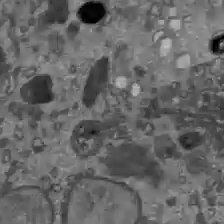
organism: C57BL Mouse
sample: Liver